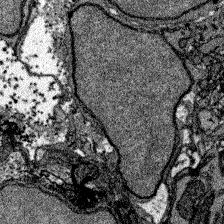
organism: Zebrafish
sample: Larval olfactory bulb